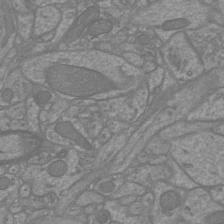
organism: Mouse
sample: Cortical neurons